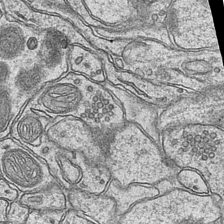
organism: Mouse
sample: CA1 Hippocampus